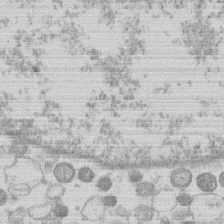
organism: Human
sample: Macrophage cells